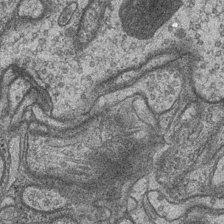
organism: Drosophila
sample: Optic medulla